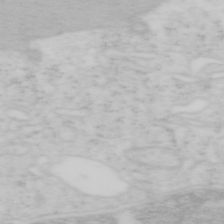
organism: Mouse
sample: OT-I killer T cells with ID8 ovarian cancer cells